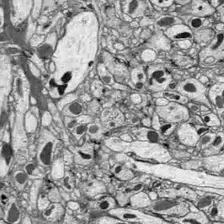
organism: Drosophila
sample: Optic lobe